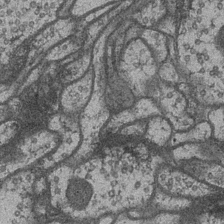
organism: Drosophila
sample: Optic medulla